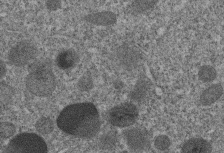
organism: C. elegans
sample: C. elegans embryo early stage